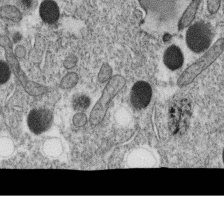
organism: C. elegans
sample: C. elegans oocyte; sperm cells